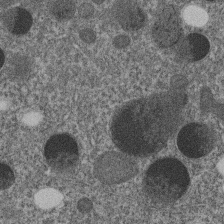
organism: C. elegans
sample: C. elegans embryo early stage